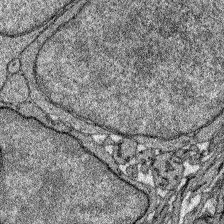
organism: Zebrafish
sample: Larval olfactory bulb